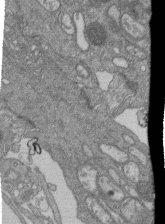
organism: Human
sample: Retinal organoid Rod and Cone cells